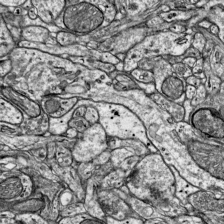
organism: Mouse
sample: Visual Cortex